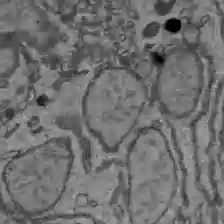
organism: C57BL Mouse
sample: Liver